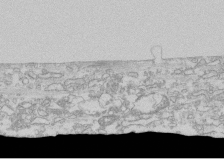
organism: Human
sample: CRL-1474